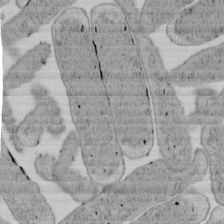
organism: E. coli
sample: Bacterial nucleoid